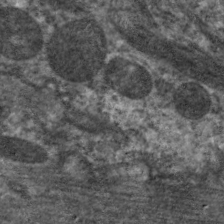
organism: C. elegans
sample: Pharynx